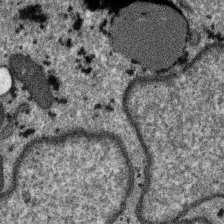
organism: Human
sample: Lung epithelial cells infected with SARS-CoV-2